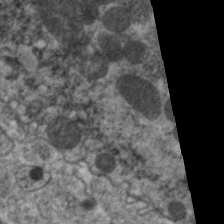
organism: C. elegans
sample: Pharynx